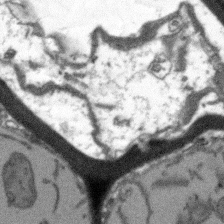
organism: Arabidopsis thaliana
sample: Root tip